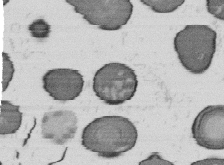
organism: B. subtilis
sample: Bacterial spore